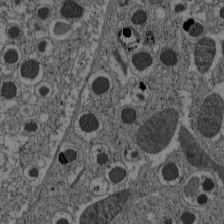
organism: C57BL Mouse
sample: Pancreatic islet